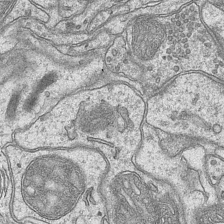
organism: Mouse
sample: CA1 Hippocampus